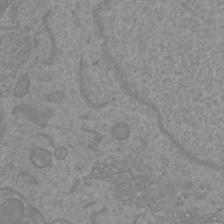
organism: Mouse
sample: Cortical neurons